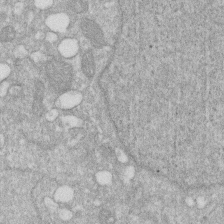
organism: Human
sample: HIV infected U937 cells